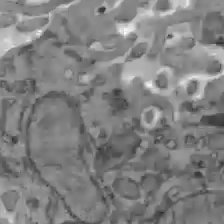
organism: C57BL Mouse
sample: Liver